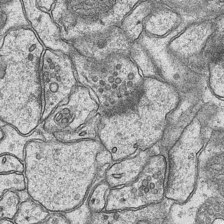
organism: Mouse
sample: CA1 Hippocampus